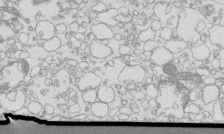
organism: Mouse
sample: Macrophages